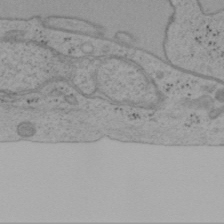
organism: Human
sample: HeLa cells